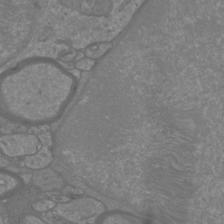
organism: Mouse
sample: Cortical neurons